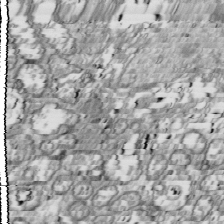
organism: Drosophila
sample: Cell division; meiosis; drosophila spermatocytes